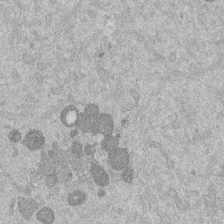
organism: Mouse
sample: Dividing mouse embryo 1 cell stage